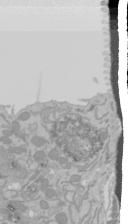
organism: Mouse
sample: Cancer cell death in ED-1 cells